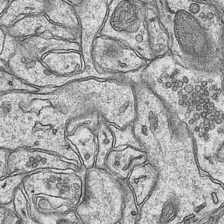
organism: Mouse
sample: CA1 Hippocampus